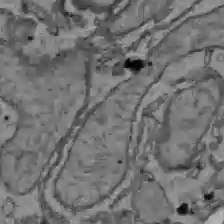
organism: C57BL Mouse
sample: Liver